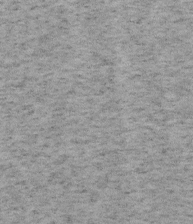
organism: Mouse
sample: OT-I killer T cells with ID8 ovarian cancer cells